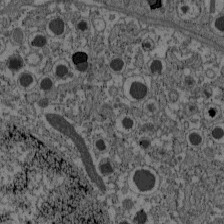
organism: C57BL Mouse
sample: Pancreatic islet